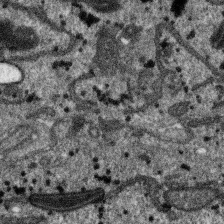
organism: Human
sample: Lung epithelial cells infected with SARS-CoV-2